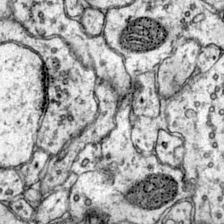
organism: Mouse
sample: Primary visual cortex